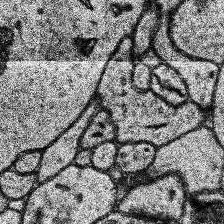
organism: Human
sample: Temporal Lobe